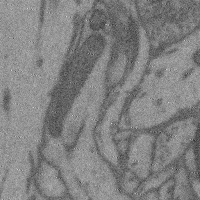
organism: Mouse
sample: Cerebral cortex